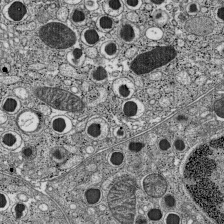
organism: C57BL Mouse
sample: Pancreatic islet